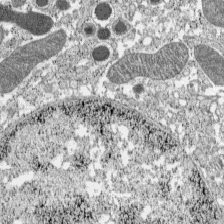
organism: C57BL Mouse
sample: Pancreatic islet